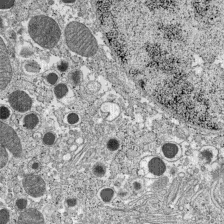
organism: C57BL Mouse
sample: Pancreatic islet